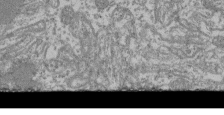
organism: Mouse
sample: Glomerulus